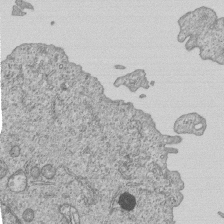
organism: Human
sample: MDA-MB-231 cells